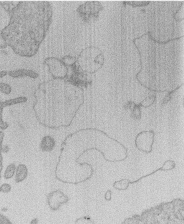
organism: Human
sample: Macrophage cells